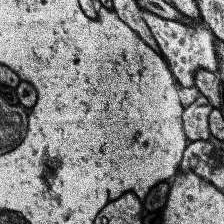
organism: Human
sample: Temporal Lobe